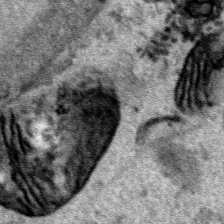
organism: Human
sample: Mitochondria in HCT116 cells